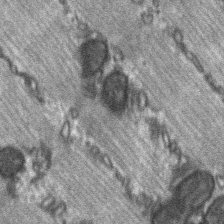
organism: C57BL Mouse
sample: Soleus